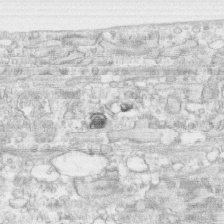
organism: Human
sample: CRL-1474